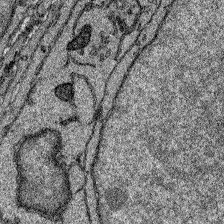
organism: Zebrafish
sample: Larval olfactory bulb